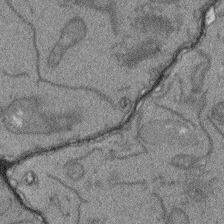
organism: Arabidopsis thaliana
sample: Root tip